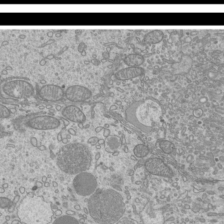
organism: Mouse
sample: Cilia; mouse epididymis